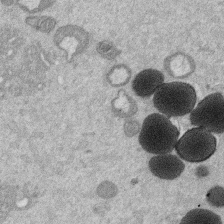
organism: Mouse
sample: Dividing mouse embryo 1 cell stage